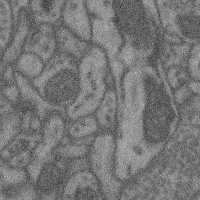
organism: Mouse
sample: Cerebral cortex